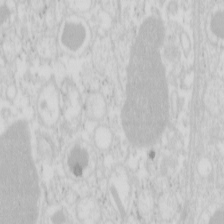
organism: Mouse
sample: Pancreas